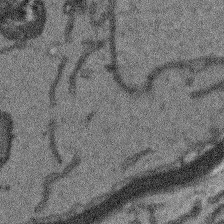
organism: Arabidopsis thaliana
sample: Root tip